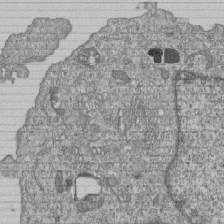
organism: Human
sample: MDA-MB-231 cells